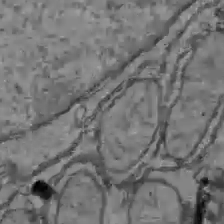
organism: C57BL Mouse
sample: Liver